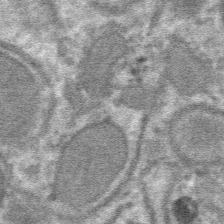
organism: Mouse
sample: Mouse hepatocytes